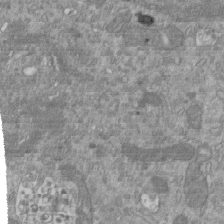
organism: Mouse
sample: ED-1 cell nuclei; centrioles